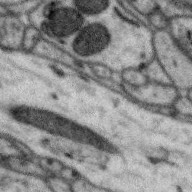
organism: Zebra finch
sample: Brain